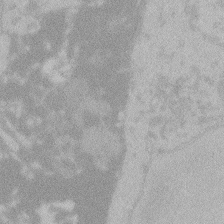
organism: Zebrafish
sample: Macrophage infected with Toxoplasma gondii